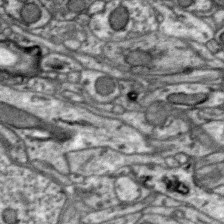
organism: Zebra finch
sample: Brain